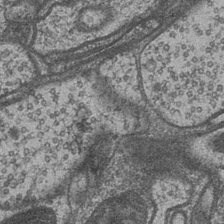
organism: Drosophila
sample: Optic medulla